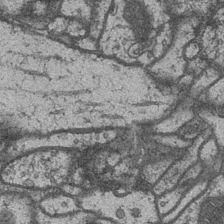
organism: Drosophila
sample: Optic medulla